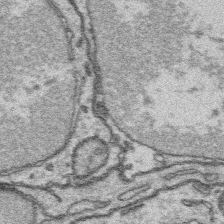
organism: Platynereis dumerilii